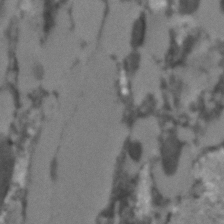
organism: C. elegans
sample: C. elegans embryo